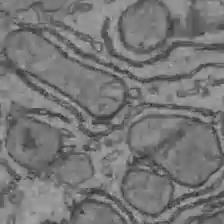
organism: C57BL Mouse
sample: Liver